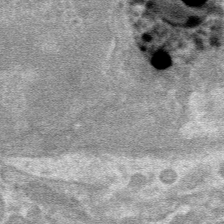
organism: Mouse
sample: Mouse hepatocytes